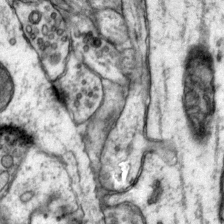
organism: Mouse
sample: Primary visual cortex